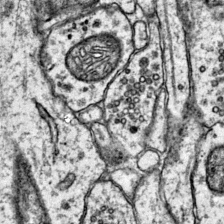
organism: Mouse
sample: Primary visual cortex